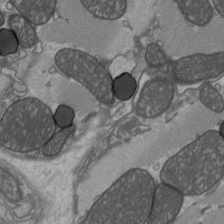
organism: C57BL Mouse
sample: Heart